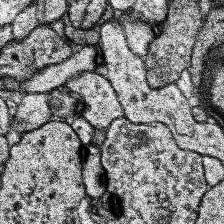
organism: Human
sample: Temporal Lobe